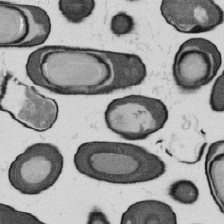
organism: B. subtilis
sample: Bacterial spore